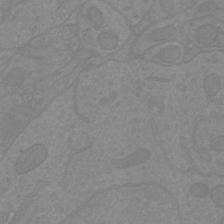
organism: Mouse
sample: Cortical neurons